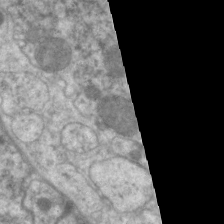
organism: C. elegans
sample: Pharynx